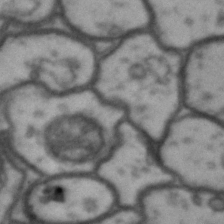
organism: Drosophila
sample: Brain